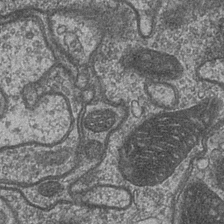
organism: Drosophila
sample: Optic medulla